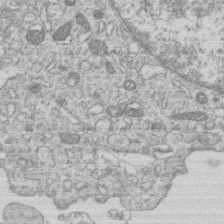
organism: Human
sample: Macrophage cells